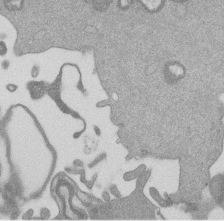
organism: Mouse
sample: Dividing mouse embryo 1 cell stage